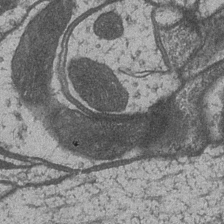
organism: Drosophila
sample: Optic medulla